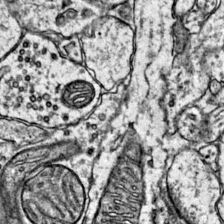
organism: Mouse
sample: Primary visual cortex